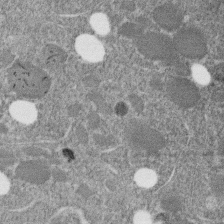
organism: C. elegans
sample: C. elegans embryo early stage